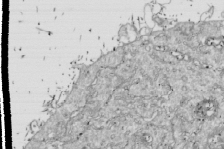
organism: Drosophila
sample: Cell division; meiosis; drosophila spermatocytes